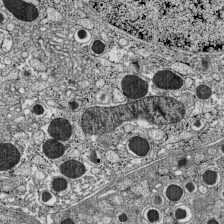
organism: C57BL Mouse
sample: Pancreatic islet